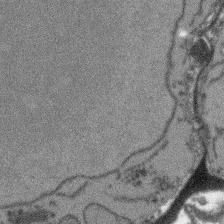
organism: Arabidopsis thaliana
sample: Root tip